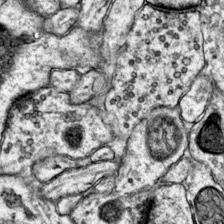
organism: Mouse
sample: Primary visual cortex